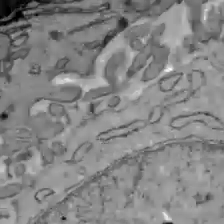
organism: C57BL Mouse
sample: Liver